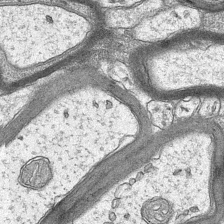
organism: Mouse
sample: CA1 Hippocampus